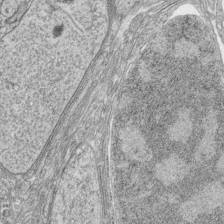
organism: Zebrafish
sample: synaptic ribbons in rod cells and cone cells